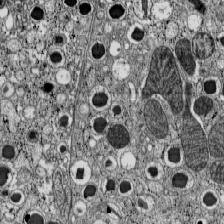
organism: C57BL Mouse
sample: Pancreatic islet